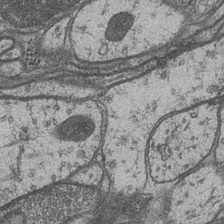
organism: Drosophila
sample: Optic medulla